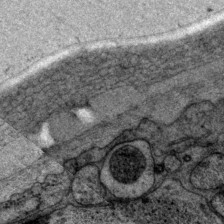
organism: P. pacificus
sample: Pharynx